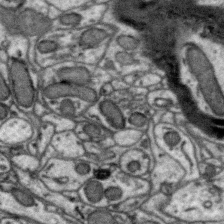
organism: Zebra finch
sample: Brain